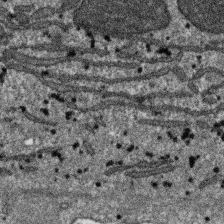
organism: Human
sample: Lung epithelial cells infected with SARS-CoV-2